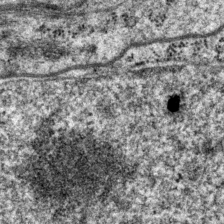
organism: P. pacificus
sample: Pharynx